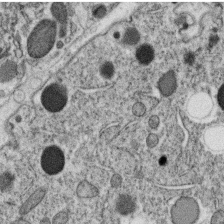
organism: C. elegans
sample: C. elegans oocyte; sperm cells